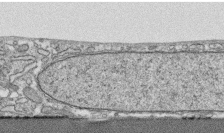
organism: Human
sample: CRL-1474